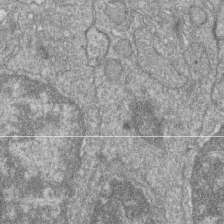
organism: Zebrafish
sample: Cilia; retinal pigment epithelium